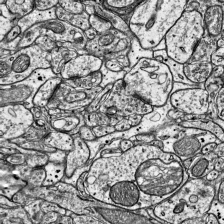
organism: Mouse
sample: Visual Cortex